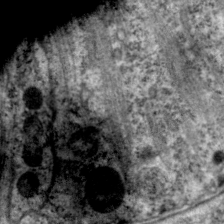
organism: C. elegans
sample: Pharynx